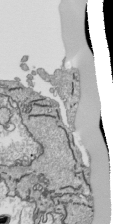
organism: Human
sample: Mitochondria in HCT116 cells